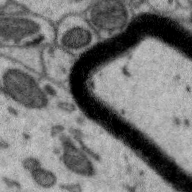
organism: Zebra finch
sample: Brain